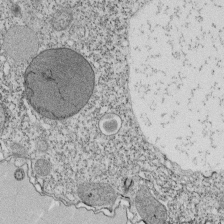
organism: Tetrahymena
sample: Cilia in tetrahymena